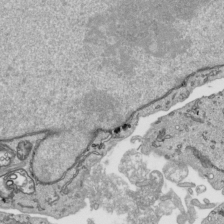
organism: Human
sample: Mitochondria in HCT116 cells